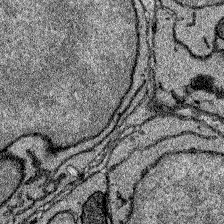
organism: Zebrafish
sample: Larval olfactory bulb